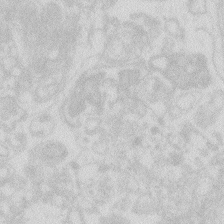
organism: Zebrafish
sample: Macrophage